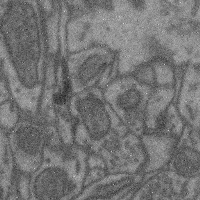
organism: Mouse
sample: Cerebral cortex